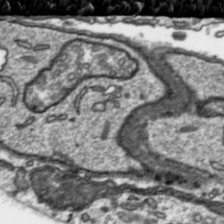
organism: Toxoplasma gondii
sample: Parasites in a vacuole inside a host cell